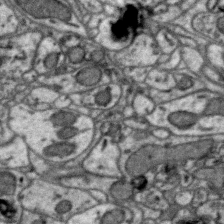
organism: Zebra finch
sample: Brain